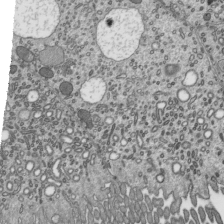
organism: Mouse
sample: Mouse epididymis efferent ductule cilia